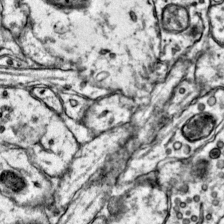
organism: Mouse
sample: Primary visual cortex